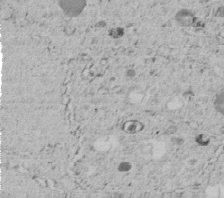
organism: C. elegans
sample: C. elegans embryo early stage